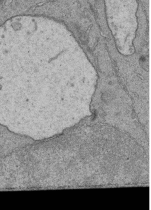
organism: Human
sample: Retinal organoid Rod and Cone cells